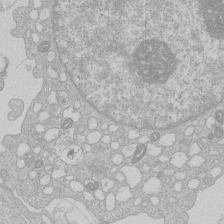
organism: Human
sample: Macrophage cells